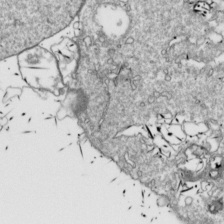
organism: Drosophila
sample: Cell division; meiosis; drosophila spermatocytes